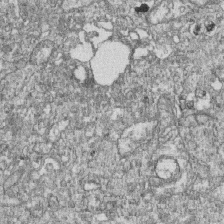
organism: Human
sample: HeLa cell HIV synapse